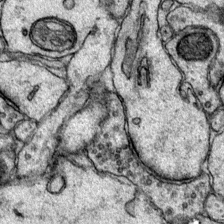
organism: Mouse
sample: Primary visual cortex